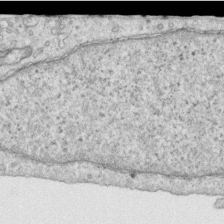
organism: Human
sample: Centriole in RPE cells